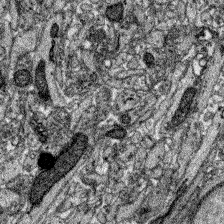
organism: Zebrafish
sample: Larval olfactory bulb